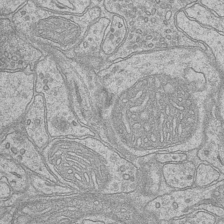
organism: Mouse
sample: CA1 Hippocampus